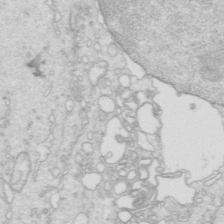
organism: Mouse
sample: Multiciliated cells